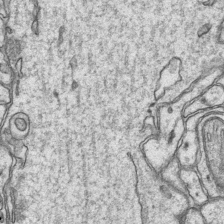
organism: Mouse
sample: CA1 Hippocampus